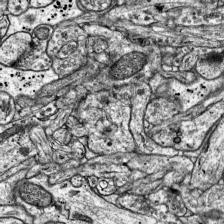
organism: Mouse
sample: Visual Cortex